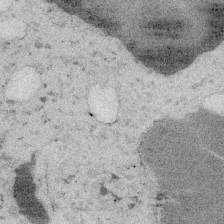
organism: Embia sp.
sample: Silk gland